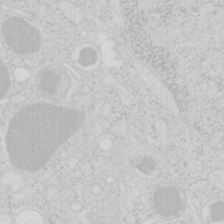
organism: Mouse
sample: Pancreas